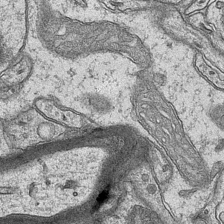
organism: Mouse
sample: CA1 Hippocampus